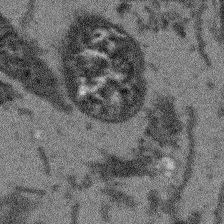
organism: Arabidopsis thaliana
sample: Root tip